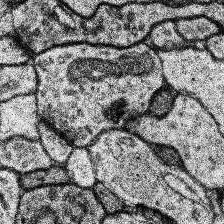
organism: Human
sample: Temporal Lobe